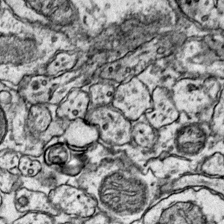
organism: Mouse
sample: Primary visual cortex